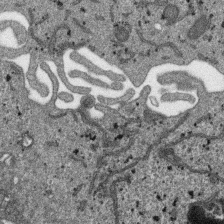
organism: Human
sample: Lung epithelial cells infected with SARS-CoV-2